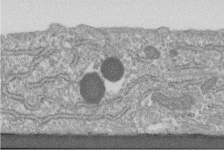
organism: Human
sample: Centriole in fibroblast cells